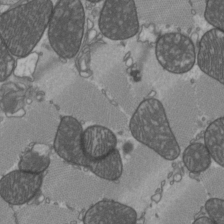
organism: C57BL Mouse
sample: Heart